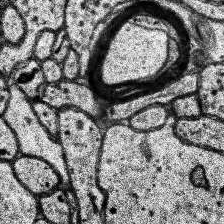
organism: Human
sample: Temporal Lobe